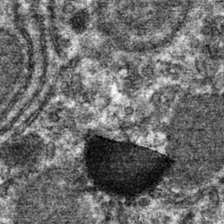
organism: Mouse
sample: Mouse hepatocytes